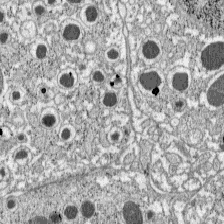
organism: C57BL Mouse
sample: Pancreatic islet